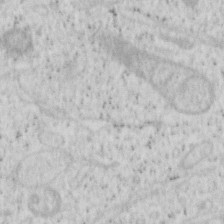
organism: Human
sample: HeLa cells